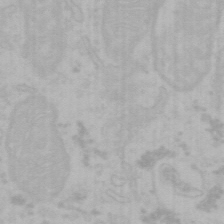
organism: Mouse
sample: Choroid plexus